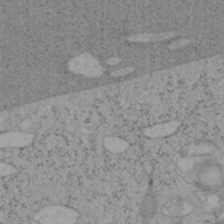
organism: Mouse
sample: OT-I killer T cells with ID8 ovarian cancer cells